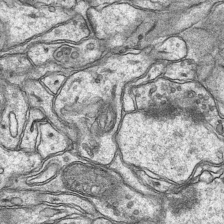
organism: Mouse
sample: CA1 Hippocampus